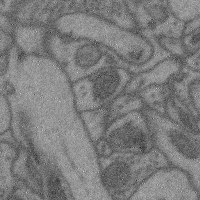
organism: Mouse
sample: Cerebral cortex